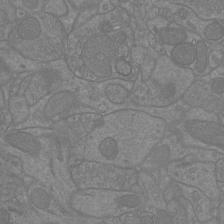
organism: Mouse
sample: Cortical neurons